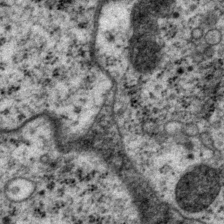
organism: P. pacificus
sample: Pharynx